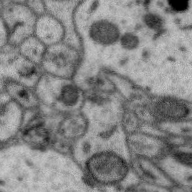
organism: Zebra finch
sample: Brain